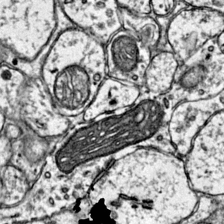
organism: Mouse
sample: Primary visual cortex